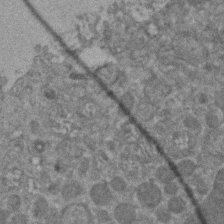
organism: Zebrafish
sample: Zebrafish embryo